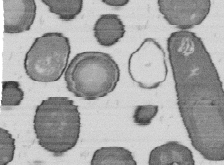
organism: B. subtilis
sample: Bacterial spore